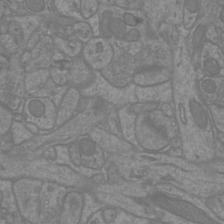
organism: Mouse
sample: Cortical neurons